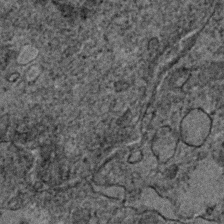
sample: Trachea